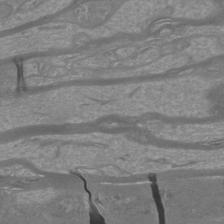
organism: Mouse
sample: Cortical neurons